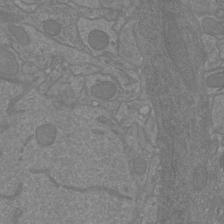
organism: Mouse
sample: Cortical neurons